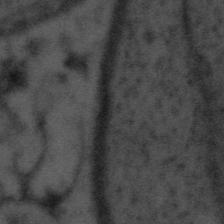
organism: Tuwongella immobilis